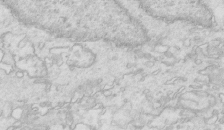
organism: Mouse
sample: Multiciliated cells